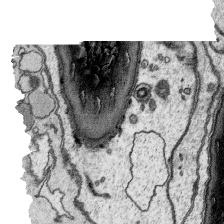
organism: Platynereis dumerilii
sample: Parapodia